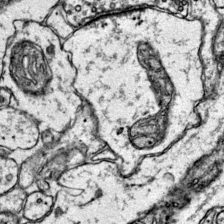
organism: Mouse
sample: Primary visual cortex